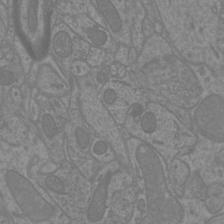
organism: Mouse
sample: Cortical neurons